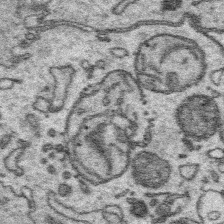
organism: Platynereis dumerilii